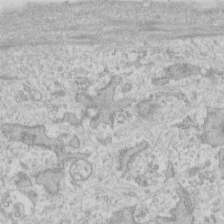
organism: Human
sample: Fibroblast cells